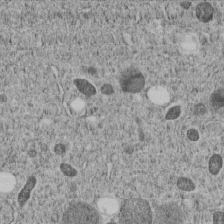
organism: C. elegans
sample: C. elegans embryo early stage